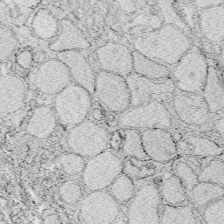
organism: Zebrafish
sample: Whole-Brain